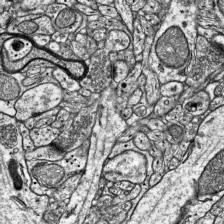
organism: Mouse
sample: Visual Cortex